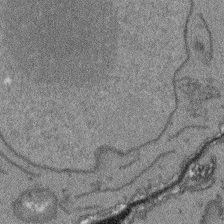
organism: Arabidopsis thaliana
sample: Root tip